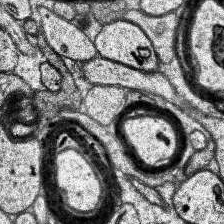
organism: Human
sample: Temporal Lobe